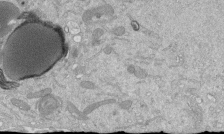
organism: Mouse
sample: ED-1 cell nuclei; centrioles